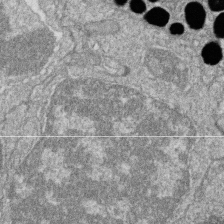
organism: Zebrafish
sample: Cilia; retinal pigment epithelium